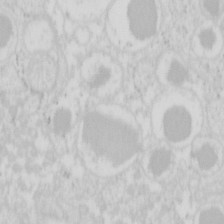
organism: Mouse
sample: Pancreas